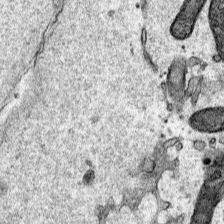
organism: Human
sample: Mitochondria in HCT116 cells